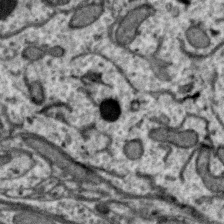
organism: Zebra finch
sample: Brain